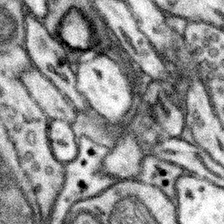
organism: Mouse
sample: Somatosensory cortex neuropil